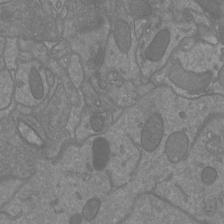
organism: Mouse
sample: Cortical neurons